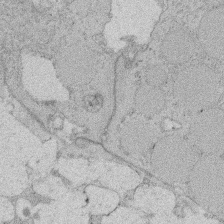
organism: Rat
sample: Salivary granule